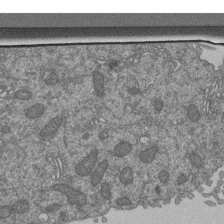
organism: Human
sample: Retinal organoid Rod and Cone cells